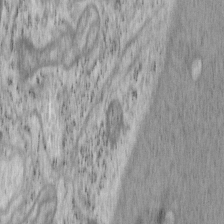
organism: Human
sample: HeLa cells